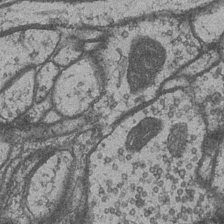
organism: Drosophila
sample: Optic medulla